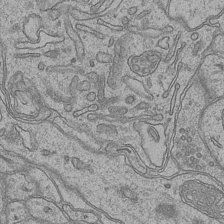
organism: Mouse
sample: CA1 Hippocampus